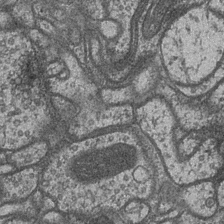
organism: Drosophila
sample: Optic medulla